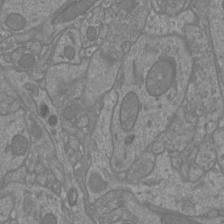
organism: Mouse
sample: Cortical neurons